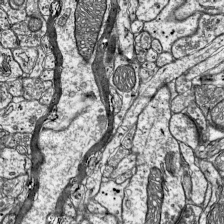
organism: Mouse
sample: Visual Cortex